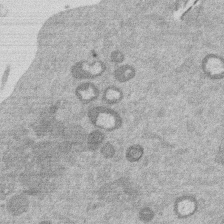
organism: Mouse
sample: Dividing mouse embryo 1 cell stage